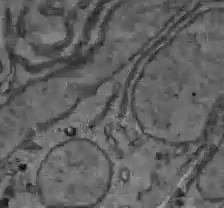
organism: C57BL Mouse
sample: Liver